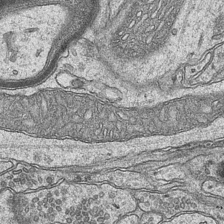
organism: Mouse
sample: CA1 Hippocampus